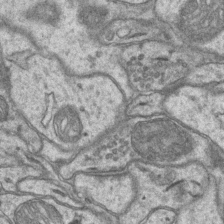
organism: Mouse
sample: CA1 Hippocampus